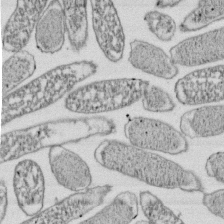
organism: E. coli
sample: Bacterial nucleoid